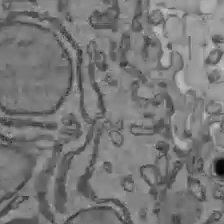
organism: C57BL Mouse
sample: Liver